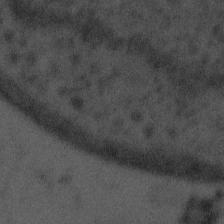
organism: Tuwongella immobilis